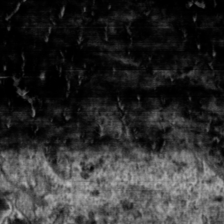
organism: Toxoplasma gondii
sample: Parasites in a vacuole inside a host cell